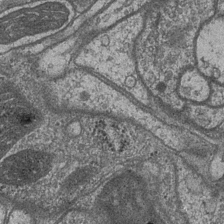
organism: Drosophila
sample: Optic medulla